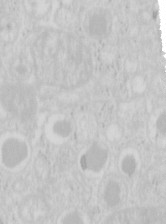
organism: Mouse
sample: Pancreas